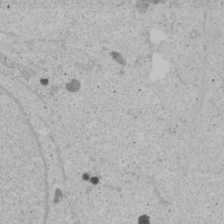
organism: Human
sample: Mitochondria in U2OS cells